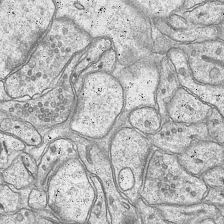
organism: Mouse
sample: CA1 Hippocampus